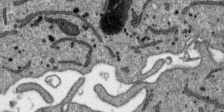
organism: Human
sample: Lung epithelial cells, uninfected (mock) control